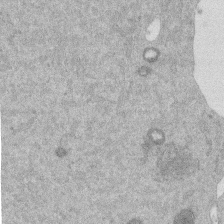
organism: Mouse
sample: Dividing mouse embryo 1 cell stage